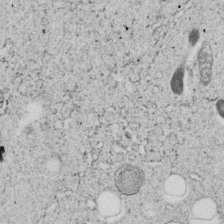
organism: C. elegans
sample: C. elegans embryo early stage